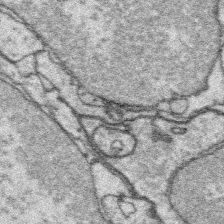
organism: Platynereis dumerilii